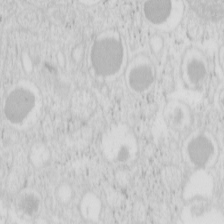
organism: Mouse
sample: Pancreas